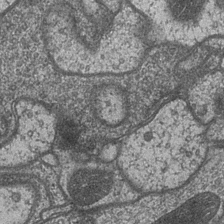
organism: Drosophila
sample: Optic medulla